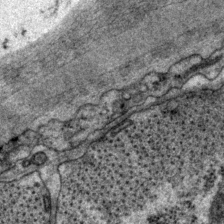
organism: P. pacificus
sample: Pharynx